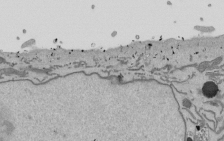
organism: Mouse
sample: ED-1 cell nuclei; centrioles